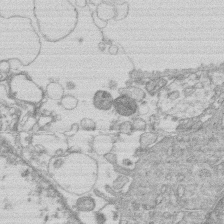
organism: Human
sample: Macrophage cells